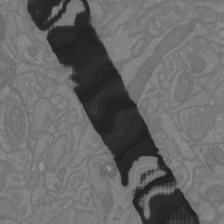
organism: Mouse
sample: Cortical neurons